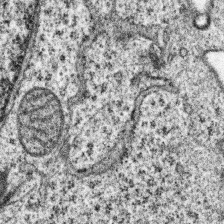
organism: Human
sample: HeLa cells